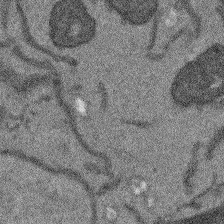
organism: Arabidopsis thaliana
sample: Root tip